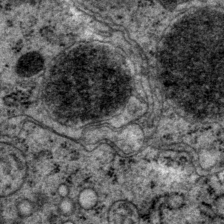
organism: P. pacificus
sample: Pharynx